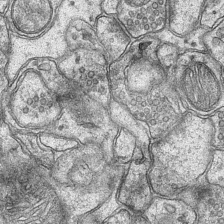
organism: Mouse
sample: CA1 Hippocampus